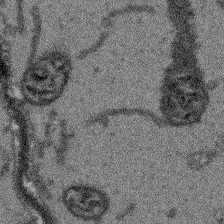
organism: Arabidopsis thaliana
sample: Root tip